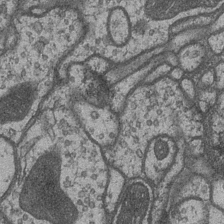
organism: Drosophila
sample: Optic medulla